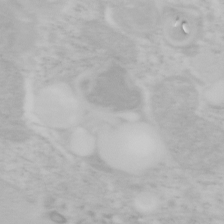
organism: Mouse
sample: OT-I killer T cells with ID8 ovarian cancer cells